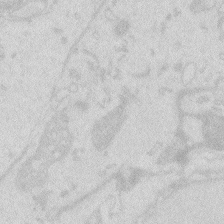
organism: Zebrafish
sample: Macrophage